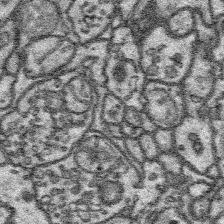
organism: Platynereis dumerilii